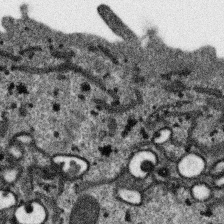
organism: Human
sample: Lung epithelial cells infected with SARS-CoV-2